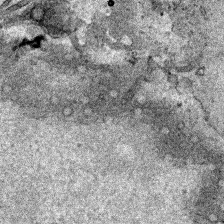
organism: Human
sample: Mitochondria in HCT116 cells